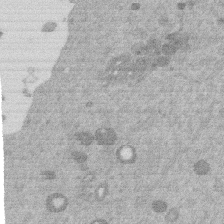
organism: Mouse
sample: Dividing mouse embryo 1 cell stage